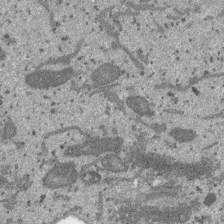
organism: Human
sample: Lung epithelial cells infected with SARS-CoV-2